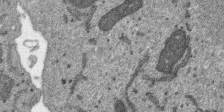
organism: Human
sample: Lung epithelial cells infected with SARS-CoV-2